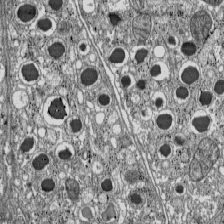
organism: C57BL Mouse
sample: Pancreatic islet